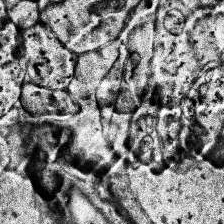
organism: Human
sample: Temporal Lobe